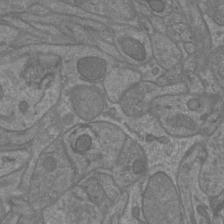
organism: Mouse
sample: Cortical neurons